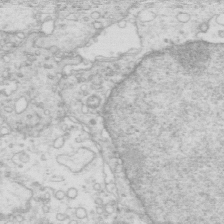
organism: Mouse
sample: Multiciliated cells